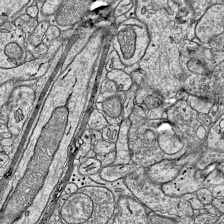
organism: Mouse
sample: Visual Cortex